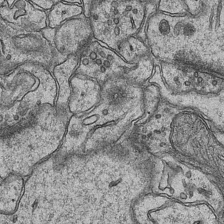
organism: Mouse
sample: CA1 Hippocampus